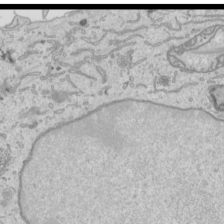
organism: Human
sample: Mitochondria in HCT116 cells